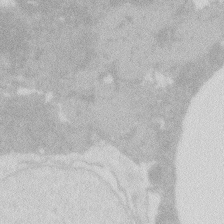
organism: Zebrafish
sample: Macrophage